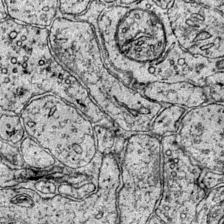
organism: Mouse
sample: Primary visual cortex